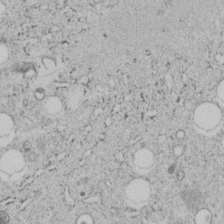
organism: C. elegans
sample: C. elegans embryo early stage